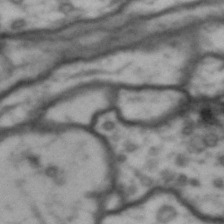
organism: Drosophila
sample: Brain